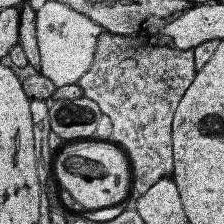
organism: Human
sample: Temporal Lobe